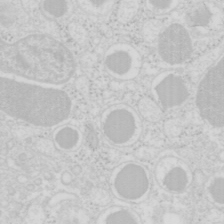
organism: Mouse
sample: Pancreas